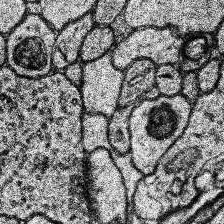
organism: Human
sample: Temporal Lobe